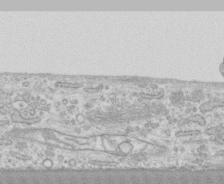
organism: Human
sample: CRL-1474